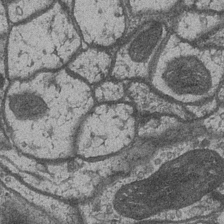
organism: Drosophila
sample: Optic medulla